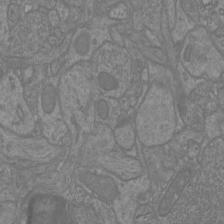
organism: Mouse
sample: Cortical neurons